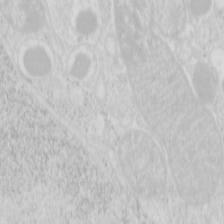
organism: Mouse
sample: Pancreas